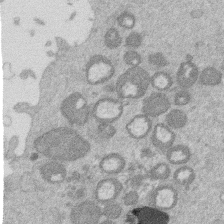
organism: Mouse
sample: Dividing mouse embryo 1 cell stage